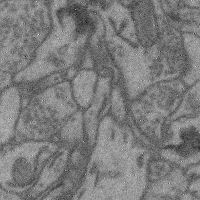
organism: Mouse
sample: Cerebral cortex